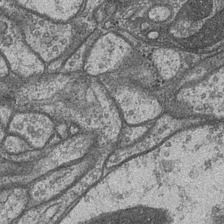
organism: Drosophila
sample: Optic medulla